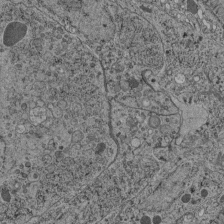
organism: C. elegans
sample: C. elegans pharynx